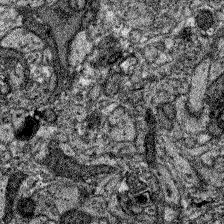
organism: Zebrafish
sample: Larval olfactory bulb